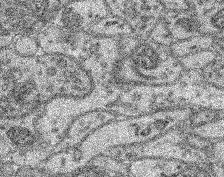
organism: Mouse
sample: Retina